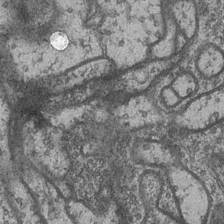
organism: Drosophila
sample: Optic medulla